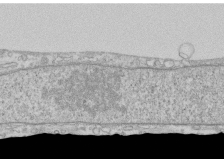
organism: Human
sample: CRL-1474